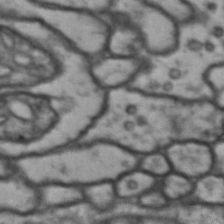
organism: Drosophila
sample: Brain